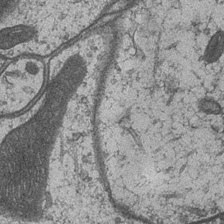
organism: Drosophila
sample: Optic medulla